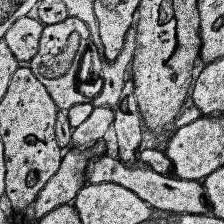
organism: Human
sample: Temporal Lobe